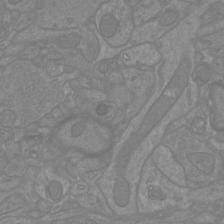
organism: Mouse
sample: Cortical neurons